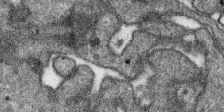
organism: Human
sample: Lung epithelial cells infected with SARS-CoV-2